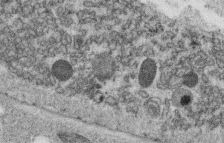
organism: C. elegans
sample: C. elegans oocyte; sperm cells